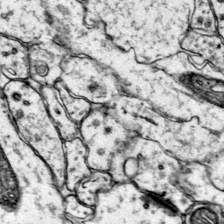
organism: Mouse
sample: Primary visual cortex